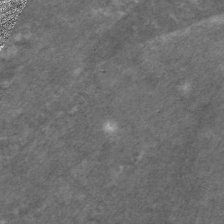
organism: C. elegans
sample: Pharynx